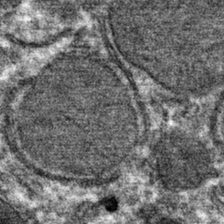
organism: Mouse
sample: Mouse hepatocytes